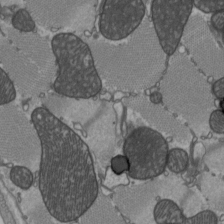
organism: C57BL Mouse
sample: Heart